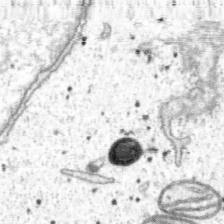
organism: Human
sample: HeLa cells